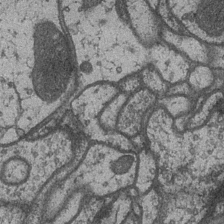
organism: Drosophila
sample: Optic medulla